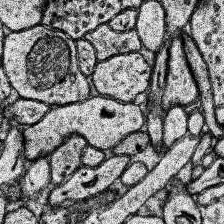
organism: Human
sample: Temporal Lobe